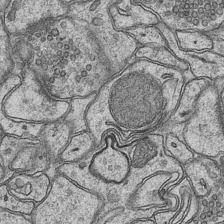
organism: Mouse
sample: CA1 Hippocampus